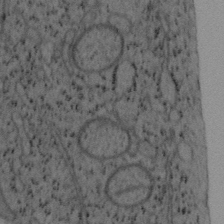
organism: Human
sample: HeLa cells